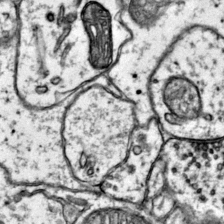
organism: Mouse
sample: Primary visual cortex